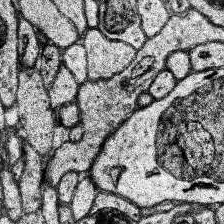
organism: Human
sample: Temporal Lobe